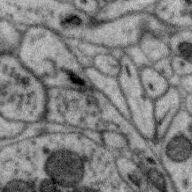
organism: Zebra finch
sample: Brain